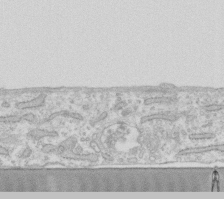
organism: Human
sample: Fibroblast cells